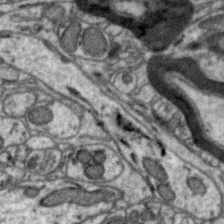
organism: Zebra finch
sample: Brain